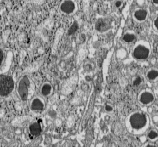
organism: C57BL Mouse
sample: Pancreatic islet